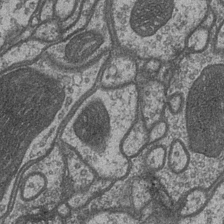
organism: Drosophila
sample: Optic medulla